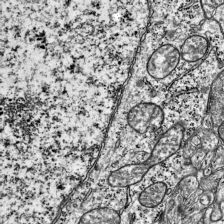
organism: Mouse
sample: Visual Cortex